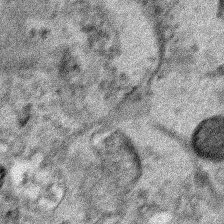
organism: Human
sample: Mitochondria in HCT116 cells